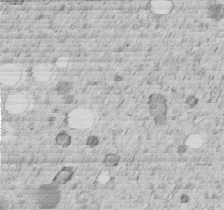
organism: C. elegans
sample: C. elegans embryo early stage